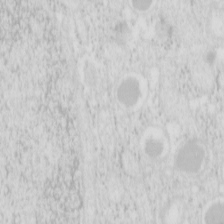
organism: Mouse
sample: Pancreas